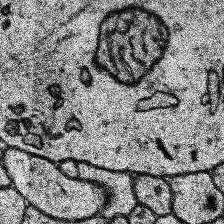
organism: Human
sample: Temporal Lobe